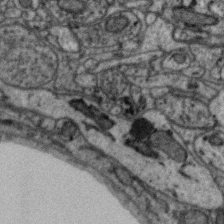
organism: Zebra finch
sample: Brain